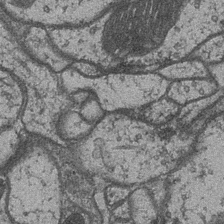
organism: Drosophila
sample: Optic medulla